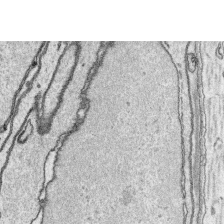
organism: Platynereis dumerilii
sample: Parapodia